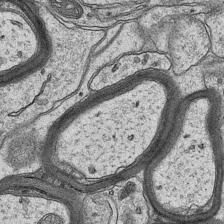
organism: Mouse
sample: CA1 Hippocampus